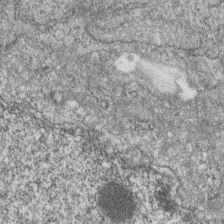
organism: Zebrafish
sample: Cilia; retinal pigment epithelium